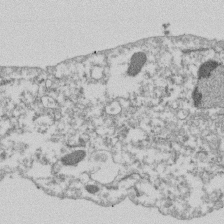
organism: Dictyostelium discoideum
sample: Dictyostelium multivesicular bodies